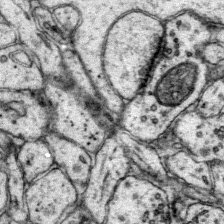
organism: Mouse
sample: Primary visual cortex